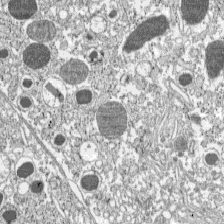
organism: C57BL Mouse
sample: Pancreatic islet